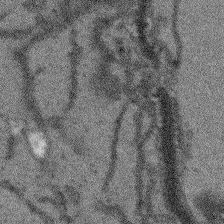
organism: Arabidopsis thaliana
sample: Root tip